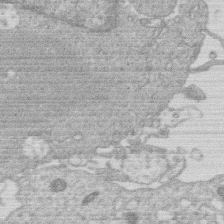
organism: Human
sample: Macrophage cells